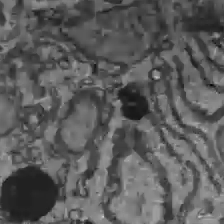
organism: C57BL Mouse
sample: Liver